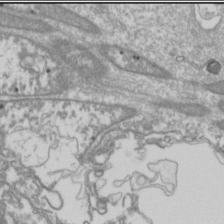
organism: Drosophila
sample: Cell division; meiosis; drosophila spermatocytes